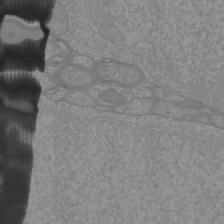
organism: Mouse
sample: Cortical neurons